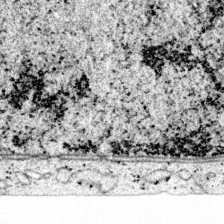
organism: Human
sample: HeLa cells